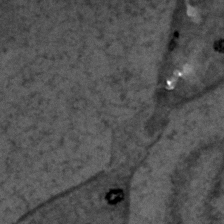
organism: C. elegans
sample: C. elegans embryo